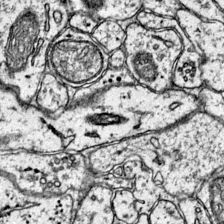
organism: Mouse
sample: Primary visual cortex